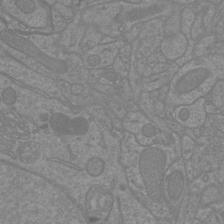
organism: Mouse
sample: Cortical neurons